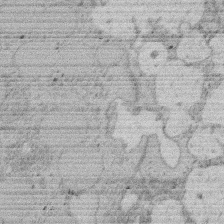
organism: Rat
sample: Salivary granule